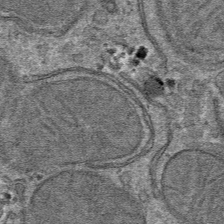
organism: Mouse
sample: Mouse hepatocytes